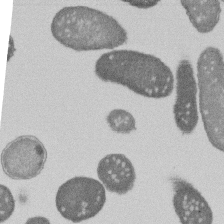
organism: E. coli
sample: Bacterial nucleoid